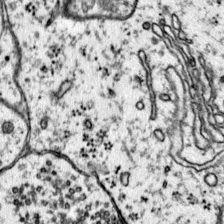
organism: Mouse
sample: Primary visual cortex